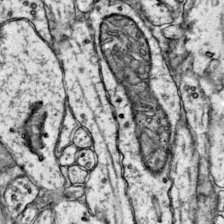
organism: Mouse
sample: Primary visual cortex